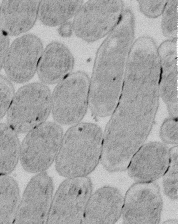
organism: E. coli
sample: Bacterial nucleoid